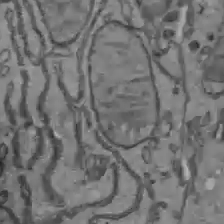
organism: C57BL Mouse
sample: Liver